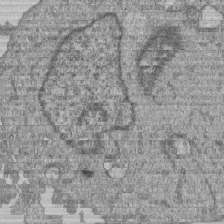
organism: Human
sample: MDA-MB-231 cells